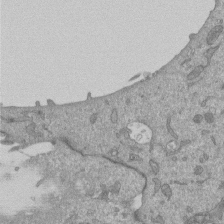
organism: Mouse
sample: ED-1 cell nuclei; centrioles